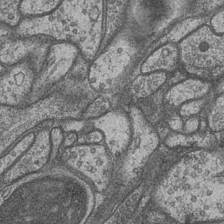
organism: Drosophila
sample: Optic medulla